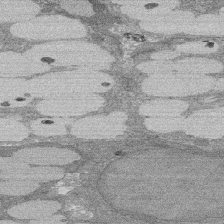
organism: Rat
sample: Salivary granule